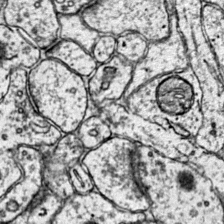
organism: Mouse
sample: Primary visual cortex